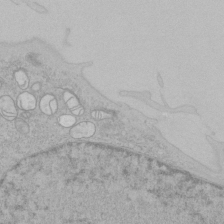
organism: Human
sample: Mitochondria in HCT116 cells